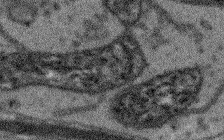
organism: Arabidopsis thaliana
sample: Root tip